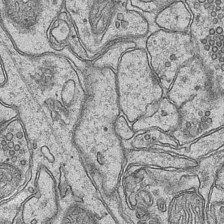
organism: Mouse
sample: CA1 Hippocampus